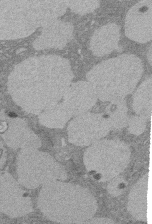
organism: Rat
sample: Salivary granule